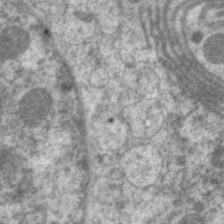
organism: C. elegans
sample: Pharynx